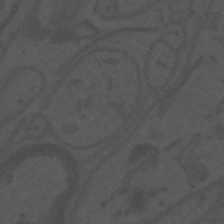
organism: Mouse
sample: Suprachiasmatic nucleus